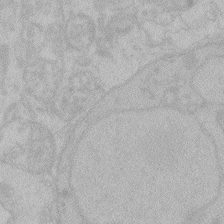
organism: Zebrafish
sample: Macrophage infected with Toxoplasma gondii